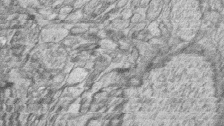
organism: Zebrafish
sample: synaptic ribbons in rod cells and cone cells